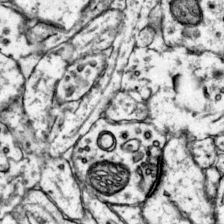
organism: Mouse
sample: Primary visual cortex